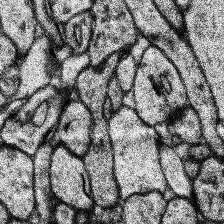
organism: Human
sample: Temporal Lobe